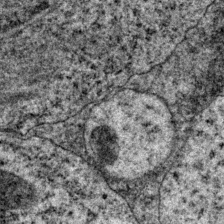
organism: P. pacificus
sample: Pharynx